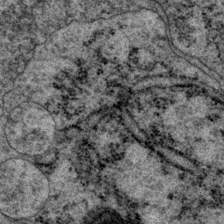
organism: P. pacificus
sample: Pharynx